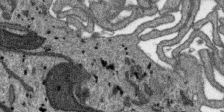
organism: Human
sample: Lung epithelial cells, uninfected (mock) control